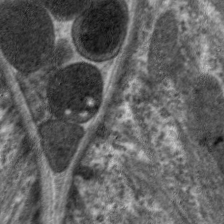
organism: C. elegans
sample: Pharynx